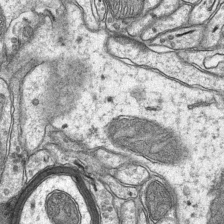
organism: Mouse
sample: CA1 Hippocampus